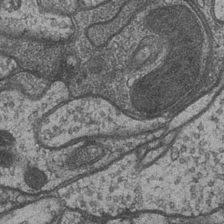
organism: Drosophila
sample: Optic medulla